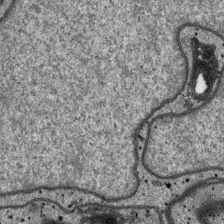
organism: Human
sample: Lung epithelial cells, uninfected (mock) control